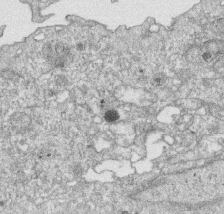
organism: Human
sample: HeLa cell HIV synapse